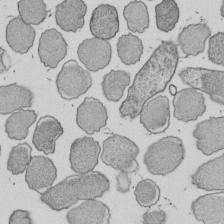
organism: E. coli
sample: Bacterial nucleoid